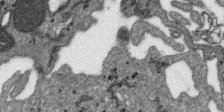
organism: Human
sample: Lung epithelial cells infected with SARS-CoV-2